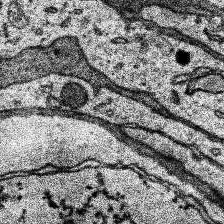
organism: Human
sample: Temporal Lobe